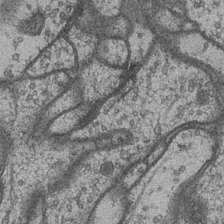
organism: Drosophila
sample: Optic medulla